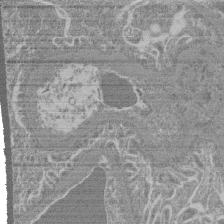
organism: Mouse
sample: Glomerulus